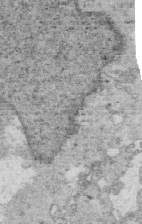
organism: Mouse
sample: Multiciliated cells